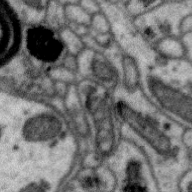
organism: Zebra finch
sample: Brain